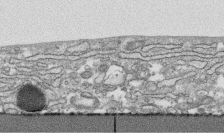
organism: Human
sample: CRL-1474